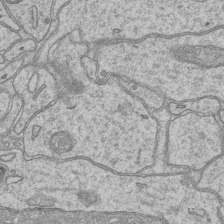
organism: Mouse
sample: CA1 Hippocampus